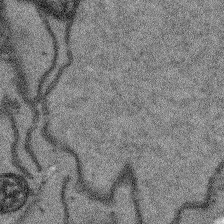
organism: Arabidopsis thaliana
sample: Root tip